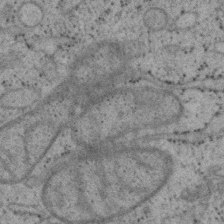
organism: Human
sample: HeLa cells